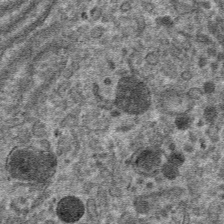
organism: Mouse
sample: Mouse hepatocytes